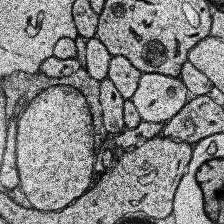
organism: Human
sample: Temporal Lobe